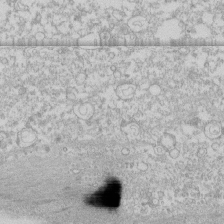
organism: Human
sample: CRL-1474